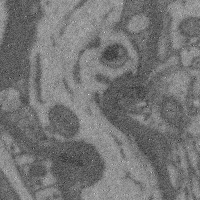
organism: Mouse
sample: Cerebral cortex